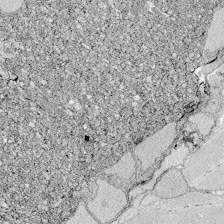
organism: Zebrafish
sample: Whole-Brain